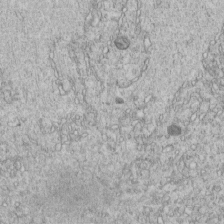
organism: C. elegans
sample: C. elegans embryo early stage